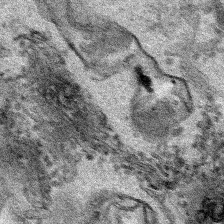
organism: Human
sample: Mitochondria in HCT116 cells